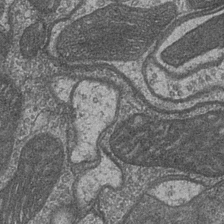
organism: Drosophila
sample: Optic medulla